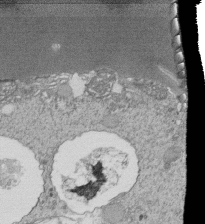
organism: Tetrahymena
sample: Cilia in tetrahymena